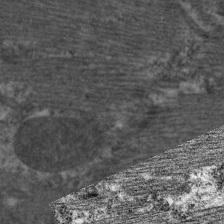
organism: C. elegans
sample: Pharynx